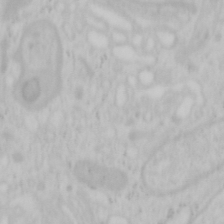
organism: Mouse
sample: OT-I killer T cells with ID8 ovarian cancer cells